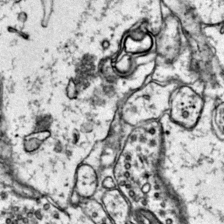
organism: Mouse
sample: Primary visual cortex